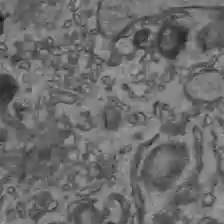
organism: C57BL Mouse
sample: Liver